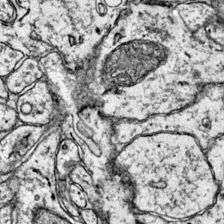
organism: Mouse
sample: Primary visual cortex